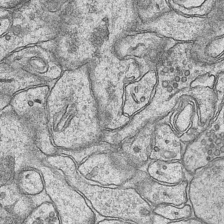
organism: Mouse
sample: CA1 Hippocampus